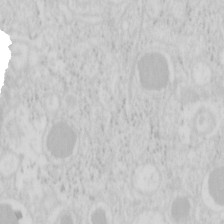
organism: Mouse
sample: Pancreas